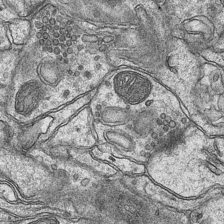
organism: Mouse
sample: CA1 Hippocampus